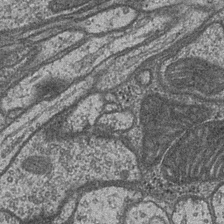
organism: Drosophila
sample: Optic medulla